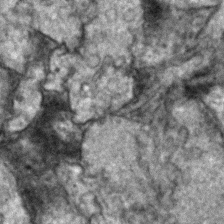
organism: Zebrafish